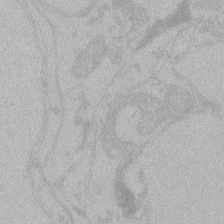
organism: Zebrafish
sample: Macrophage infected with Toxoplasma gondii